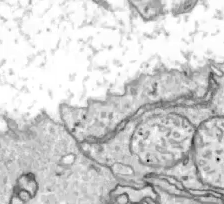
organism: Zebrafish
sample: Actinotrichia fibers